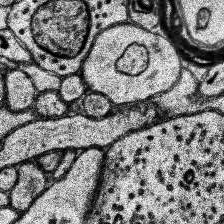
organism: Human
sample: Temporal Lobe